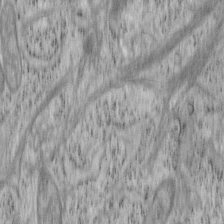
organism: Human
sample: HeLa cells